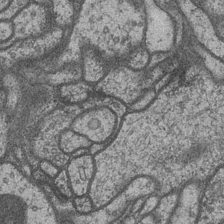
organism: Drosophila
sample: Optic medulla